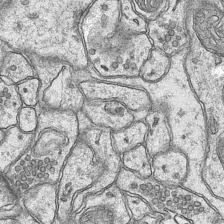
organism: Mouse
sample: CA1 Hippocampus